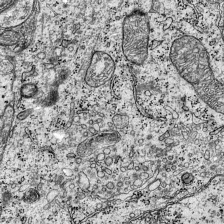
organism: Mouse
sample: Visual Cortex